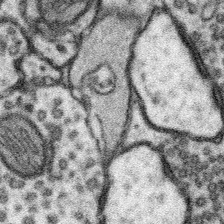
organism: Mouse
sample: Somatosensory cortex neuropil